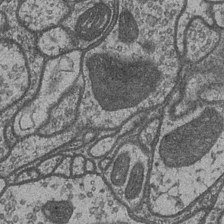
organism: Drosophila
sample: Optic medulla